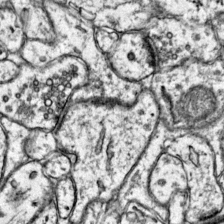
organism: Mouse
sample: Primary visual cortex